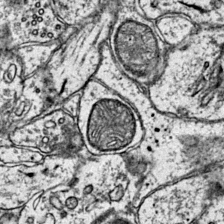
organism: Mouse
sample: Primary visual cortex